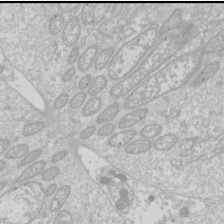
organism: Drosophila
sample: Cell division; meiosis; drosophila spermatocytes